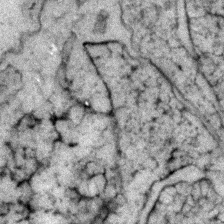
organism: Zebrafish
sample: Zebrafish embryo